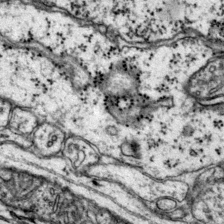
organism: Mouse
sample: Primary visual cortex